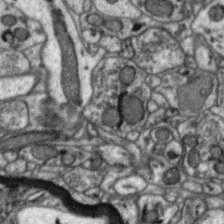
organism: Zebra finch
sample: Brain